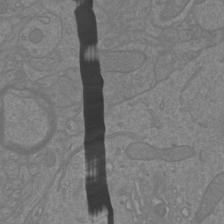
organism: Mouse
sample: Cortical neurons